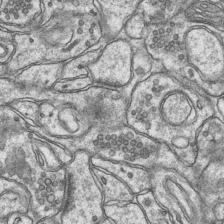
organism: Mouse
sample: CA1 Hippocampus